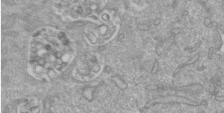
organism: Mouse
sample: ED-1 cell nuclei; centrioles